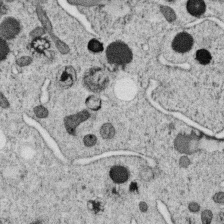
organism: C. elegans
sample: C. elegans oocyte; sperm cells